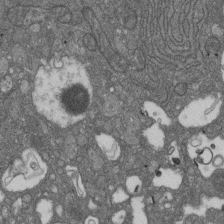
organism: Drosophila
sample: Nephrocyte